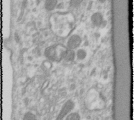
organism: Human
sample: Cilia; basal body in RPE cells